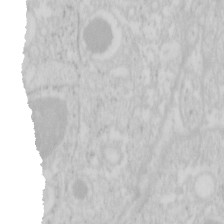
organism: Mouse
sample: Pancreas